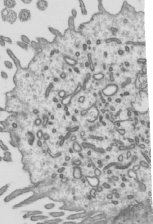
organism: Mouse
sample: Mouse epididymis efferent ductule cilia